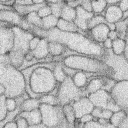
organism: Rabbit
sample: Retina